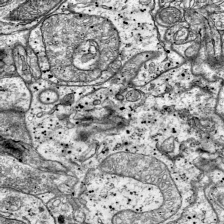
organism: Mouse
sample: Visual Cortex